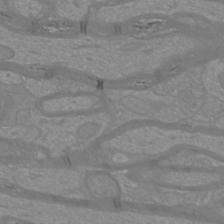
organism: Mouse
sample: Cortical neurons